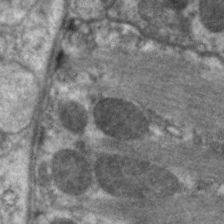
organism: C. elegans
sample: Pharynx